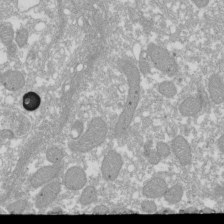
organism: Xenopus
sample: Cilia; centrioles in frog embryo cells